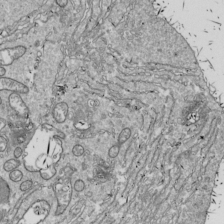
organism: Drosophila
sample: Cell division; meiosis; drosophila spermatocytes